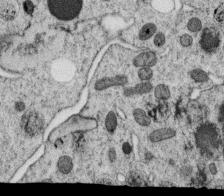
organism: C. elegans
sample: C. elegans oocyte; sperm cells